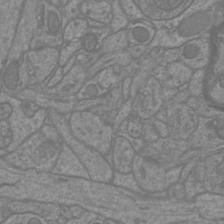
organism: Mouse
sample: Cortical neurons